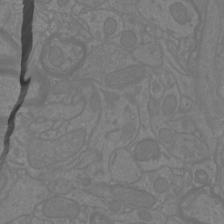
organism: Mouse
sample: Cortical neurons